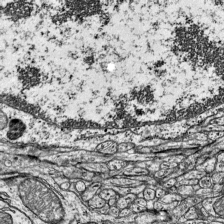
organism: Mouse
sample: Visual Cortex